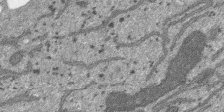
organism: Human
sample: Lung epithelial cells infected with SARS-CoV-2